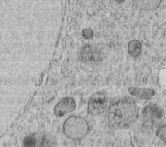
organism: C. elegans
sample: C. elegans embryo early stage